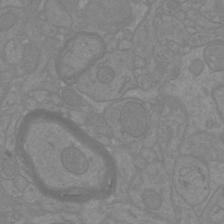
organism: Mouse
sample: Cortical neurons